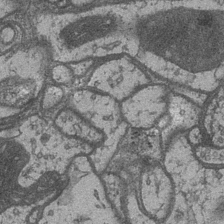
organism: Drosophila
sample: Optic medulla